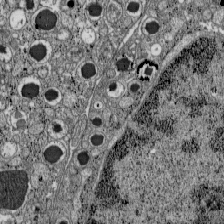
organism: C57BL Mouse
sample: Pancreatic islet